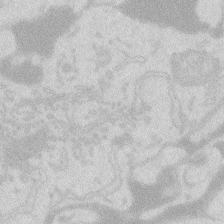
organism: Zebrafish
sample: Macrophage